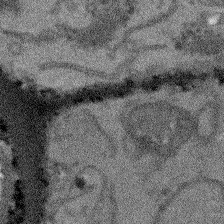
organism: Arabidopsis thaliana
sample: Root tip